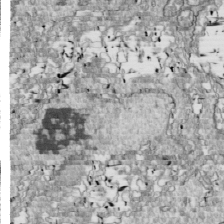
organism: Drosophila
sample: Cell division; meiosis; drosophila spermatocytes